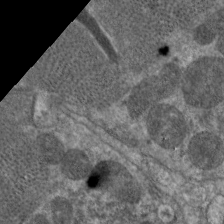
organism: C. elegans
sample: Pharynx